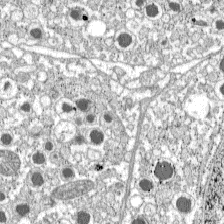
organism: C57BL Mouse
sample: Pancreatic islet